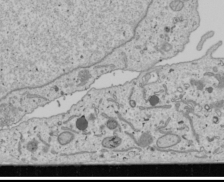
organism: Human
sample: Mitochondria in U2OS cells